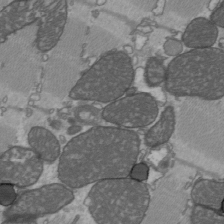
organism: C57BL Mouse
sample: Heart